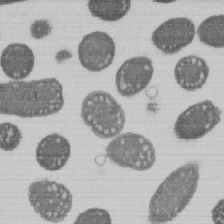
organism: E. coli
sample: Bacterial nucleoid